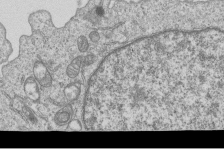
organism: Human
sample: MDA-MB-231 cells